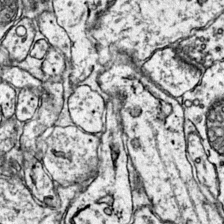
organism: Mouse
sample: Primary visual cortex